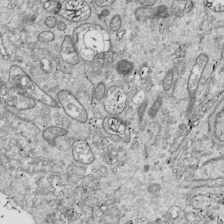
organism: Drosophila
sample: Cell division; meiosis; drosophila spermatocytes